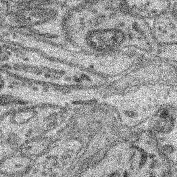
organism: Mouse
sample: Retina